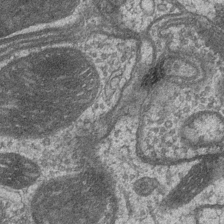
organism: Drosophila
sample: Optic medulla